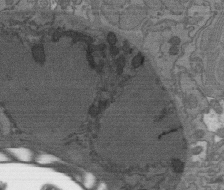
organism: C. elegans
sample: AFD neurons C. elegans